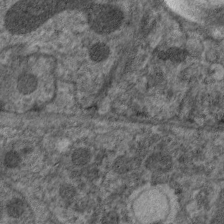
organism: C. elegans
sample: Pharynx